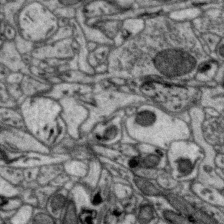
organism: Zebra finch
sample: Brain